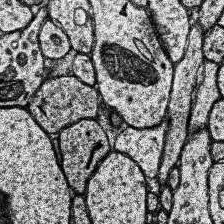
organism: Human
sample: Temporal Lobe